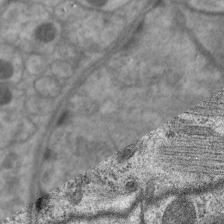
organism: C. elegans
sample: Pharynx